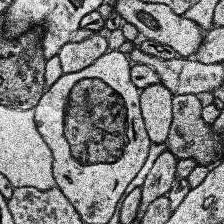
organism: Human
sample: Temporal Lobe